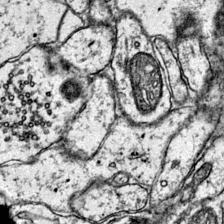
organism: Mouse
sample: Primary visual cortex